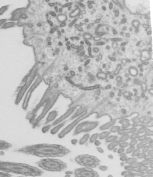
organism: Mouse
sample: Mouse epididymis efferent ductule cilia